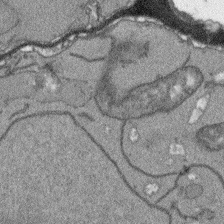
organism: Arabidopsis thaliana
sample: Root tip